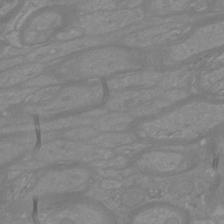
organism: Mouse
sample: Cortical neurons